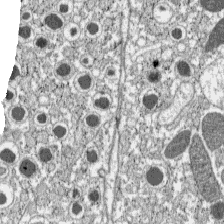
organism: C57BL Mouse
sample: Pancreatic islet